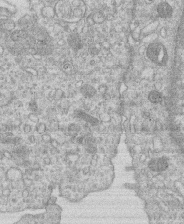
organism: Human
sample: Macrophage cells